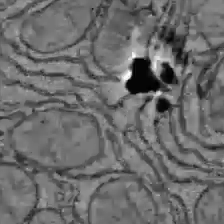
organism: C57BL Mouse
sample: Liver